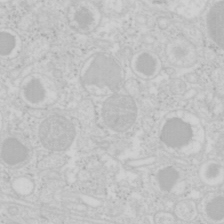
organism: Mouse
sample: Pancreas